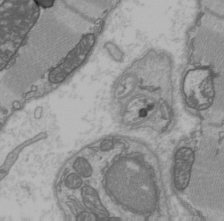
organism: C57BL Mouse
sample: Heart